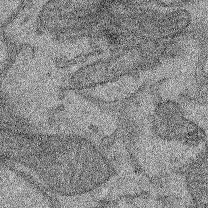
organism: Human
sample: HeLa cells